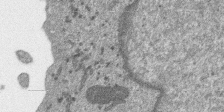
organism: Human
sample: Lung epithelial cells infected with SARS-CoV-2